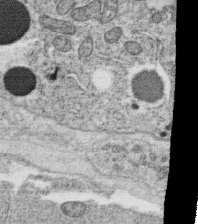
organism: C. elegans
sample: C. elegans oocyte; sperm cells